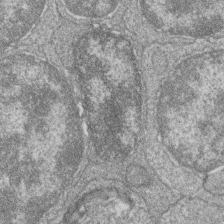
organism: Zebrafish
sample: Cilia; retinal pigment epithelium